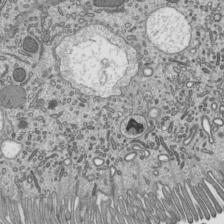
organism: Mouse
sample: Mouse epididymis efferent ductule cilia